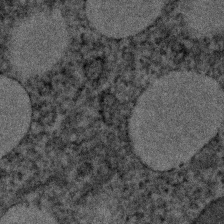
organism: Human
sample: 1205lu cells